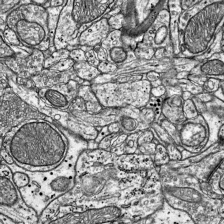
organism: Mouse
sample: Visual Cortex